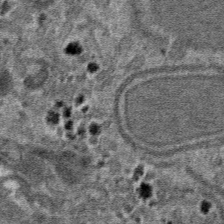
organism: Mouse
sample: Mouse hepatocytes